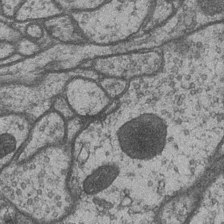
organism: Drosophila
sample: Optic medulla